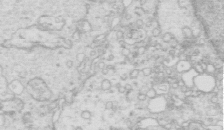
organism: Mouse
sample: Multiciliated cells